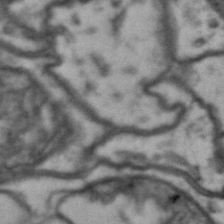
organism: Drosophila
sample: Brain